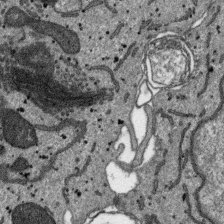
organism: Human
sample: Lung epithelial cells, uninfected (mock) control